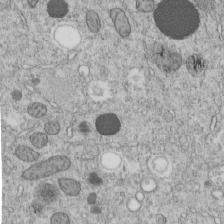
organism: C. elegans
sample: C. elegans embryo early stage